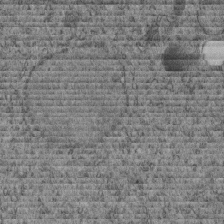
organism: C. elegans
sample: C. elegans embryo early stage